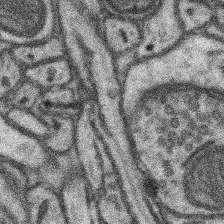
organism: Mouse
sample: Somatosensory cortex neuropil